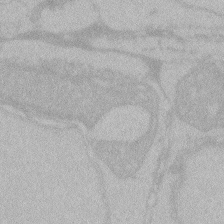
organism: Zebrafish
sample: Macrophage infected with Toxoplasma gondii